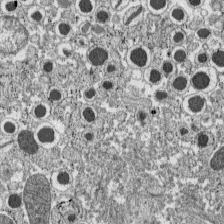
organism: C57BL Mouse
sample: Pancreatic islet